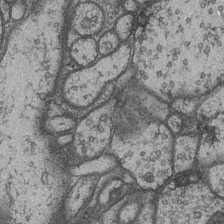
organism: Drosophila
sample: Optic medulla